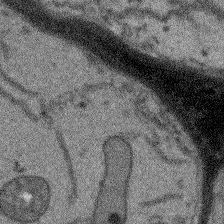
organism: Arabidopsis thaliana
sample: Root tip